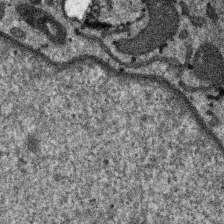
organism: Human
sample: Lung epithelial cells infected with SARS-CoV-2